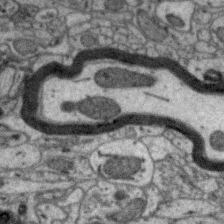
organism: Zebra finch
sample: Brain